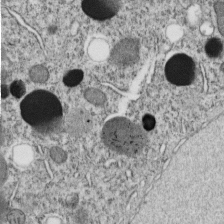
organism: C. elegans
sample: C. elegans embryo early stage